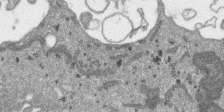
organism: Human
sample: Lung epithelial cells infected with SARS-CoV-2